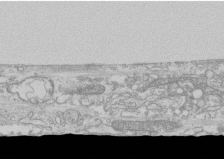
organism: Human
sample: CRL-1474